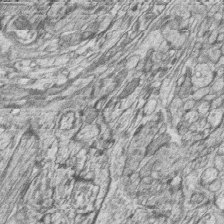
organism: Zebrafish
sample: synaptic ribbons in rod cells and cone cells